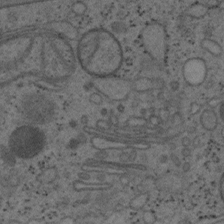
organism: Human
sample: HeLa cells